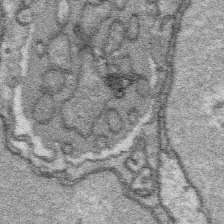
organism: Platynereis dumerilii